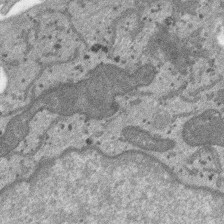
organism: Human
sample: Lung epithelial cells infected with SARS-CoV-2